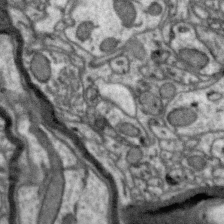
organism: Zebra finch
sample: Brain